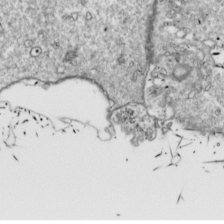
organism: Drosophila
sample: Cell division; meiosis; drosophila spermatocytes